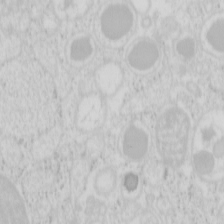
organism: Mouse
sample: Pancreas